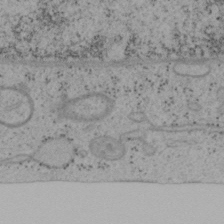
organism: Human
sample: HeLa cells